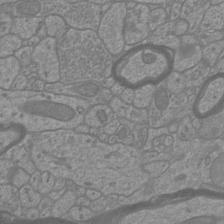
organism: Mouse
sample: Cortical neurons